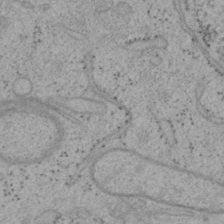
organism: Human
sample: HeLa cells